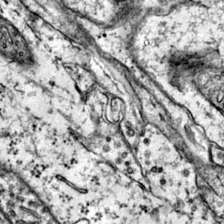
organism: Mouse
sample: Primary visual cortex